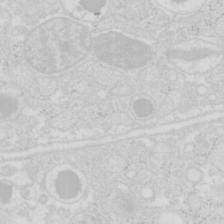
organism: Mouse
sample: Pancreas